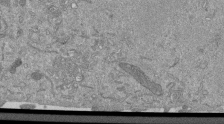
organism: Mouse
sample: ED-1 cell nuclei; centrioles